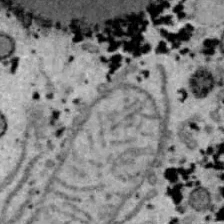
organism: Mouse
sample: Liver from an obese (ob/ob) mouse